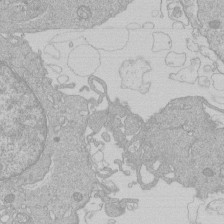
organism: Human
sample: Macrophage cells